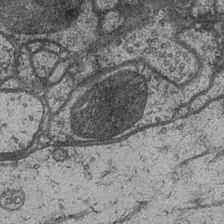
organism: Drosophila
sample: Optic medulla